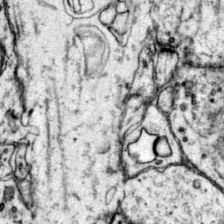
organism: Mouse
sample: Primary visual cortex